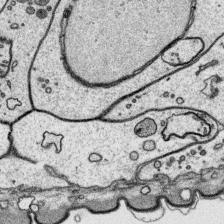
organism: Platynereis dumerilii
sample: Parapodia